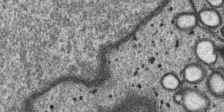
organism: Human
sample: Lung epithelial cells infected with SARS-CoV-2